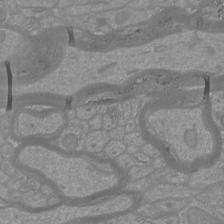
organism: Mouse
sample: Cortical neurons